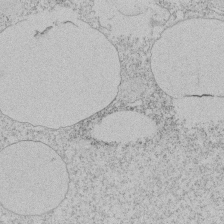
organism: Tetrahymena